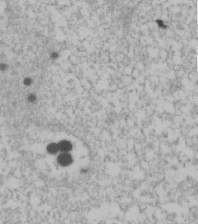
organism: Human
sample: U2-OS cells